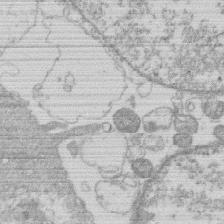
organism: Human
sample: Macrophage cells